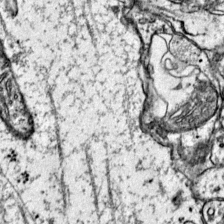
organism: Mouse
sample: Primary visual cortex